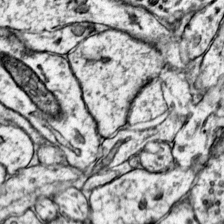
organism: Mouse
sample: Primary visual cortex